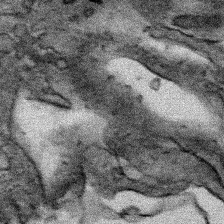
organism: Human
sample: Mitochondria in HCT116 cells